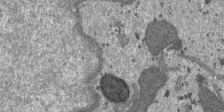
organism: Human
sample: Lung epithelial cells infected with SARS-CoV-2